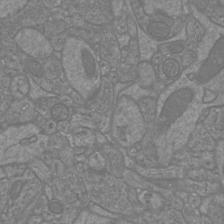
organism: Mouse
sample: Cortical neurons